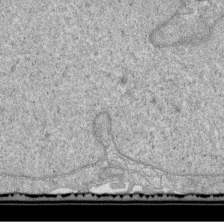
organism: Human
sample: HeLa cell HIV synapse